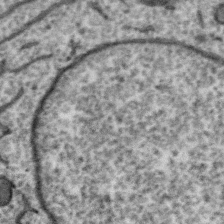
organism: Zebra finch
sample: Brain